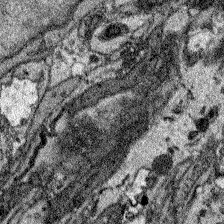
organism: Zebrafish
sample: Larval olfactory bulb